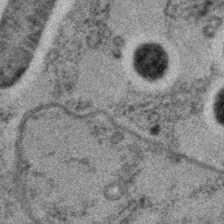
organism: C. elegans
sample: C. elegans embryo